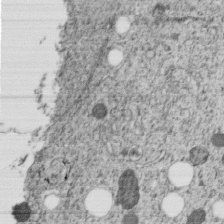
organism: C. elegans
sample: C. elegans embryo early stage